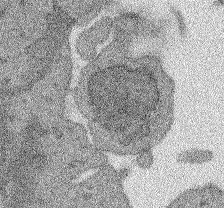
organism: Human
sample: HeLa cells